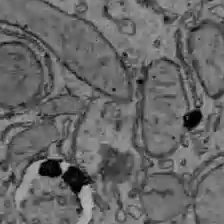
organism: C57BL Mouse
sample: Liver